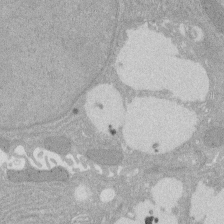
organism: Rat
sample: Salivary granule